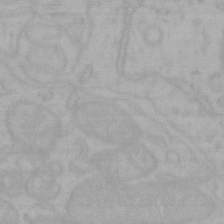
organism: Mouse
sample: Choroid plexus